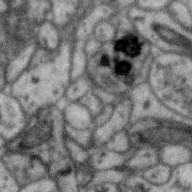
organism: Zebra finch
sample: Brain